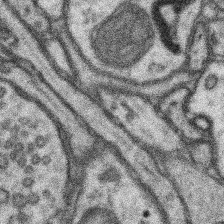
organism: Mouse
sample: Somatosensory cortex neuropil